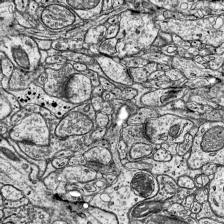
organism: Mouse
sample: Visual Cortex